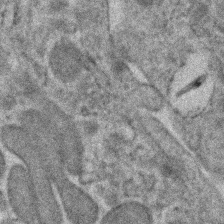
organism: Human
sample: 1205lu cells